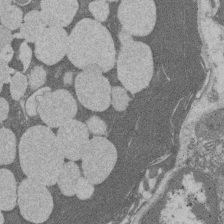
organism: Rat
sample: Salivary granule